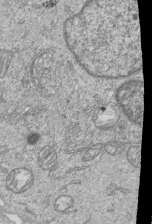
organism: Human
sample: MDA-MB-231 cells